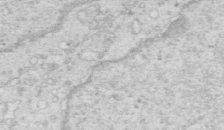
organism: Mouse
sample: Multiciliated cells